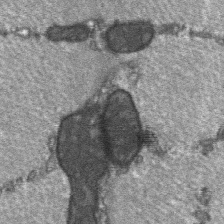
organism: C57BL Mouse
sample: Soleus